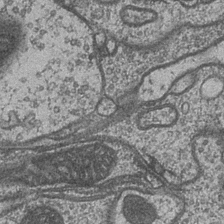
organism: Drosophila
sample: Optic medulla